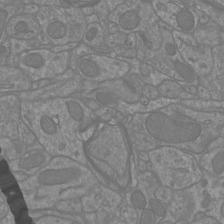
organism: Mouse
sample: Cortical neurons